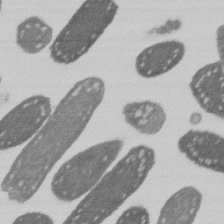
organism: E. coli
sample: Bacterial nucleoid